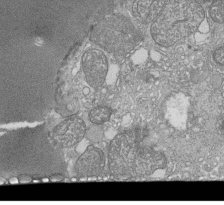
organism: Tetrahymena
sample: Cilia in tetrahymena